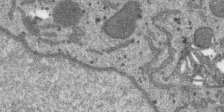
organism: Human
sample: Lung epithelial cells infected with SARS-CoV-2